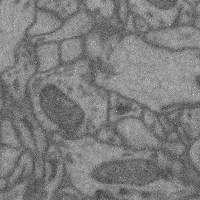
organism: Mouse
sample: Cerebral cortex